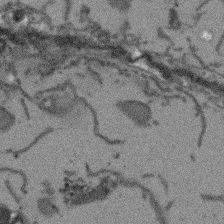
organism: Arabidopsis thaliana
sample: Root tip